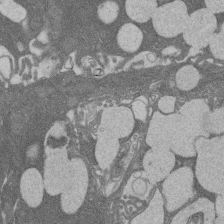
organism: Rat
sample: Salivary granule